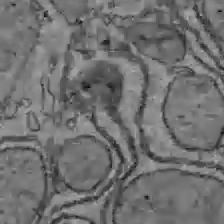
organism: C57BL Mouse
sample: Liver